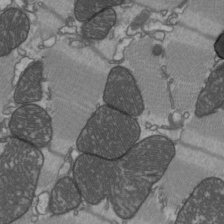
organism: C57BL Mouse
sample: Heart